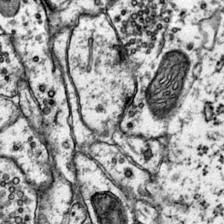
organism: Mouse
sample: Primary visual cortex